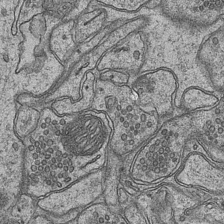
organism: Mouse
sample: CA1 Hippocampus